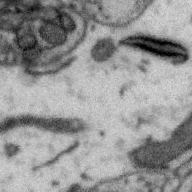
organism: Zebra finch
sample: Brain